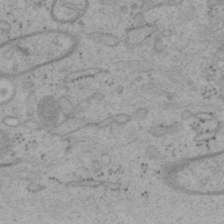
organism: Human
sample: HeLa cells